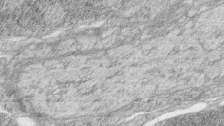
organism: Zebrafish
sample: synaptic ribbons in rod cells and cone cells